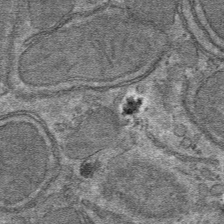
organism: Mouse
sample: Mouse hepatocytes